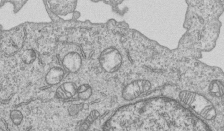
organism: Human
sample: MDA-MB-231 cells